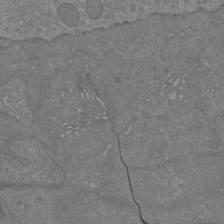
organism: Mouse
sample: Cortical neurons